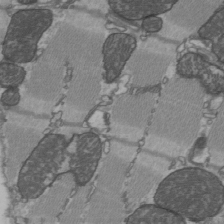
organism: C57BL Mouse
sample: Heart